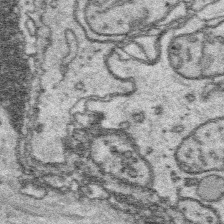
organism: Platynereis dumerilii